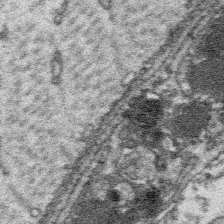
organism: Platynereis dumerilii